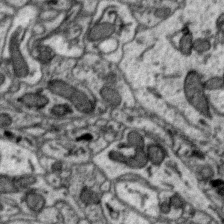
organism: Zebra finch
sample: Brain